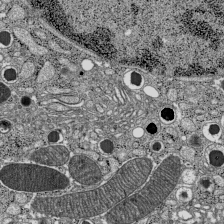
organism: C57BL Mouse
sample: Pancreatic islet